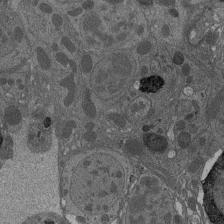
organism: Drosophila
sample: Antenna